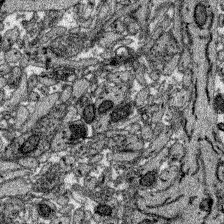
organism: Zebrafish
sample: Larval olfactory bulb